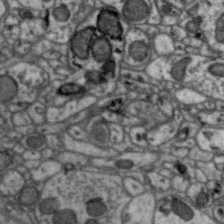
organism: Zebra finch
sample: Brain